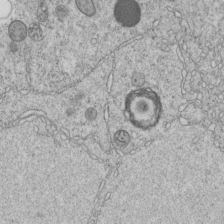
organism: C. elegans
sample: C. elegans embryo early stage